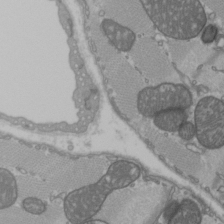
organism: C57BL Mouse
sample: Heart